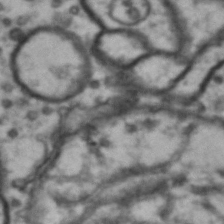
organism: Drosophila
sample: Brain